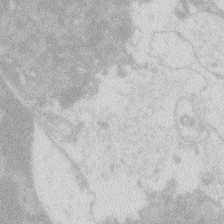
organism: Zebrafish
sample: Macrophage